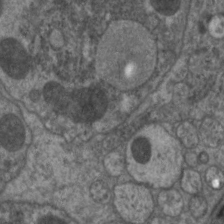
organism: C. elegans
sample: Pharynx